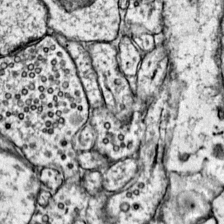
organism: Mouse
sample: Primary visual cortex